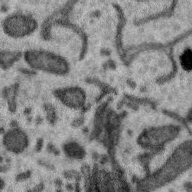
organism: Zebra finch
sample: Brain